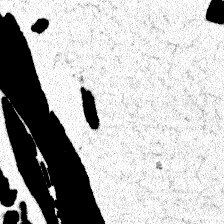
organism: Zebrafish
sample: Larval olfactory bulb